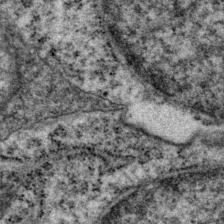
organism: P. pacificus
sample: Pharynx